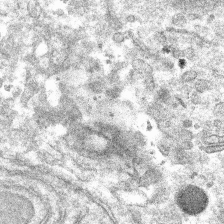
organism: Mouse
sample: Mouse hepatocytes